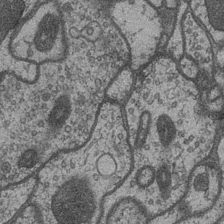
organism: Drosophila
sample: Optic medulla